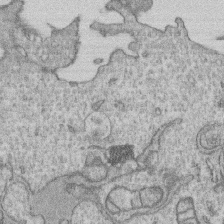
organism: Human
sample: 1205lu cells